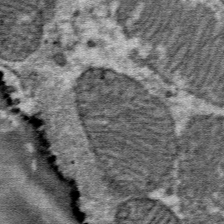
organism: Mouse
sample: Mouse Salivary gland